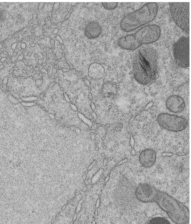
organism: C. elegans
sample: C. elegans embryo early stage